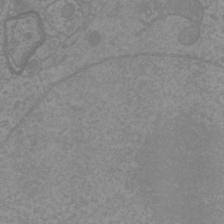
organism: Mouse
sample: Cortical neurons